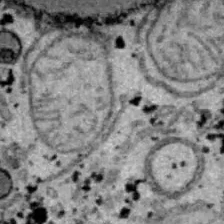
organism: Mouse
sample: Liver from an obese (ob/ob) mouse